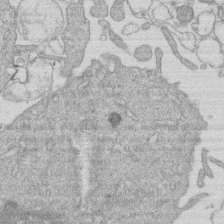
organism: Human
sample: Macrophage cells